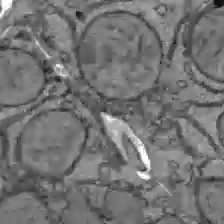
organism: C57BL Mouse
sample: Liver